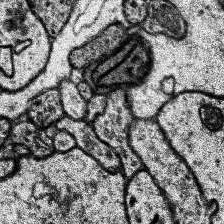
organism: Human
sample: Temporal Lobe